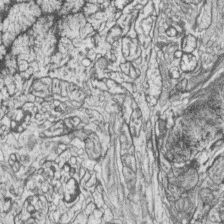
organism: Zebrafish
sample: synaptic ribbons in rod cells and cone cells